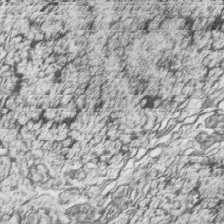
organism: Zebrafish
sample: synaptic ribbons in rod cells and cone cells